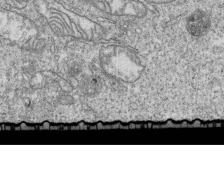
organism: Human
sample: HeLa cell HIV synapse